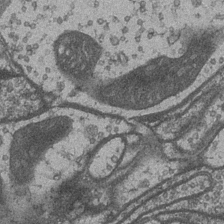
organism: Drosophila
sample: Optic medulla